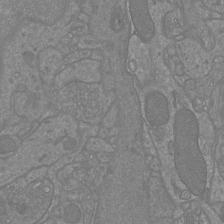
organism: Mouse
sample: Cortical neurons